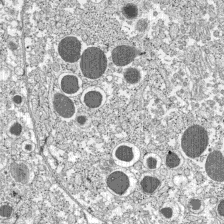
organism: C57BL Mouse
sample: Pancreatic islet